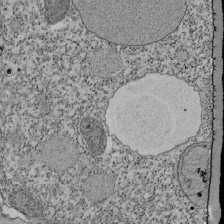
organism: Tetrahymena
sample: Cilia in tetrahymena